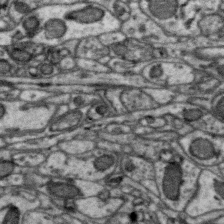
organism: Zebra finch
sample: Brain